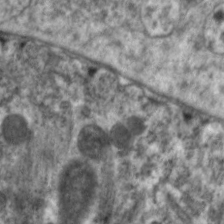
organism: C. elegans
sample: Pharynx